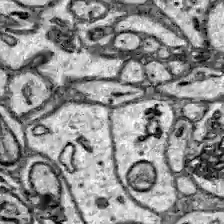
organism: Zebrafish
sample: Brain